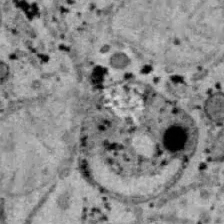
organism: Mouse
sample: Liver from an obese (ob/ob) mouse